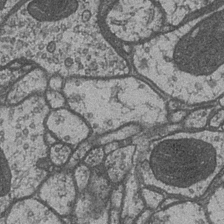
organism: Drosophila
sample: Optic medulla